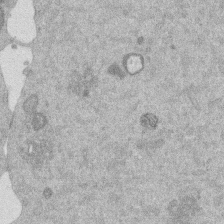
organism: Mouse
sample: Dividing mouse embryo 1 cell stage